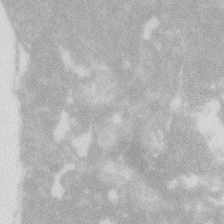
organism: Zebrafish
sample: Macrophage